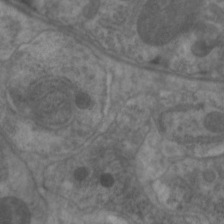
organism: C. elegans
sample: Pharynx